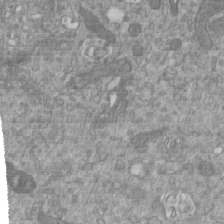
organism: Mouse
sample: ED-1 cell nuclei; centrioles